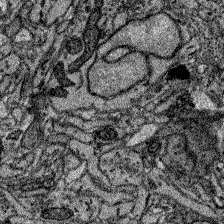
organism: Zebrafish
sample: Larval olfactory bulb